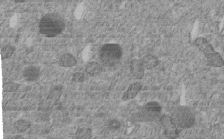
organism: C. elegans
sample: C. elegans embryo early stage